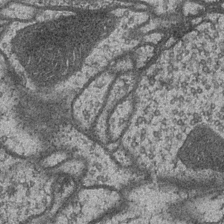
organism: Drosophila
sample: Optic medulla